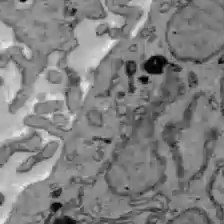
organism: C57BL Mouse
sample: Liver